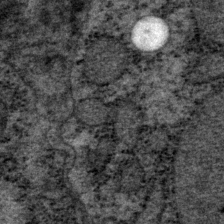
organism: P. pacificus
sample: Pharynx